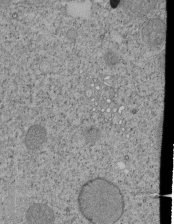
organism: Tetrahymena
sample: Cilia in tetrahymena